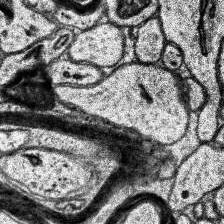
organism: Human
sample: Temporal Lobe